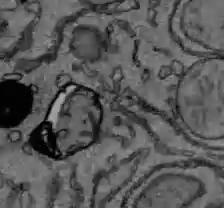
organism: C57BL Mouse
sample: Liver